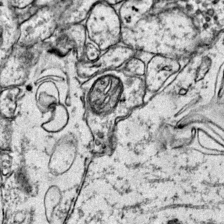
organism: Mouse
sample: Primary visual cortex